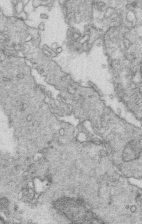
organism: Mouse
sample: Multiciliated cells